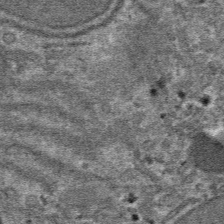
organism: Mouse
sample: Mouse hepatocytes